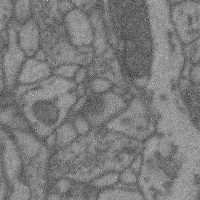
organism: Mouse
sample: Cerebral cortex